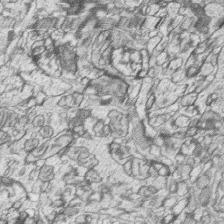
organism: Zebrafish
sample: synaptic ribbons in rod cells and cone cells